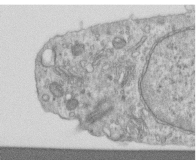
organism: Human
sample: Centriole in RPE cells